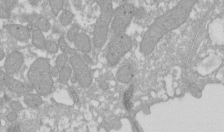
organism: Xenopus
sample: Cilia; centrioles in frog embryo cells